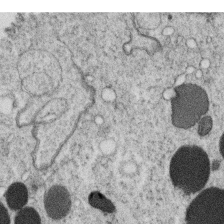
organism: C. elegans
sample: C. elegans oocyte; sperm cells